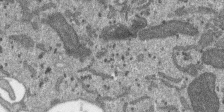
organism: Human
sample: Lung epithelial cells infected with SARS-CoV-2